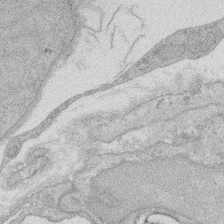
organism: Rat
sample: Salivary granule